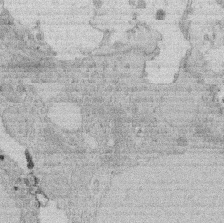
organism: Rat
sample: Salivary granule